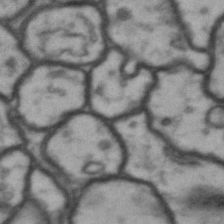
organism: Drosophila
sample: Brain